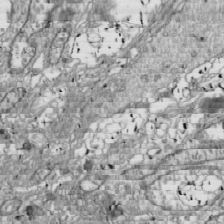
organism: Drosophila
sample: Cell division; meiosis; drosophila spermatocytes